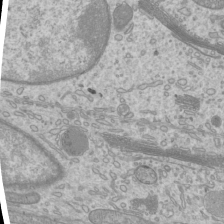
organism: Mouse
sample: Cilia; mouse epididymis